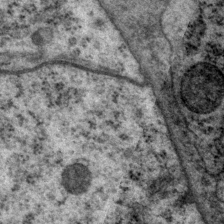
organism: P. pacificus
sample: Pharynx